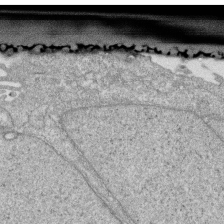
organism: Human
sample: HeLa cell HIV synapse